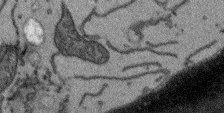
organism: Arabidopsis thaliana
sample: Root tip